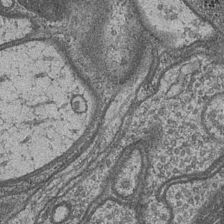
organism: Drosophila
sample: Optic medulla